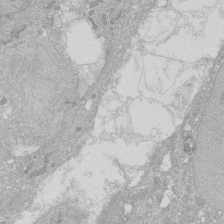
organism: Human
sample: Caco-2 cells